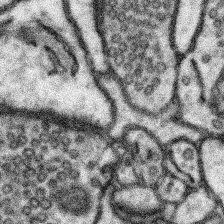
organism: Mouse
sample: Somatosensory cortex neuropil